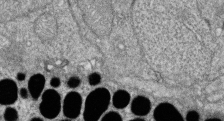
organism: Zebrafish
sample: Cilia; retinal pigment epithelium